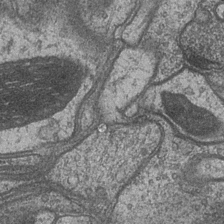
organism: Drosophila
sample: Optic medulla